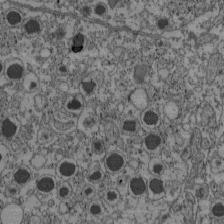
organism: C57BL Mouse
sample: Pancreatic islet